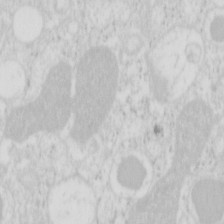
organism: Mouse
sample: Pancreas